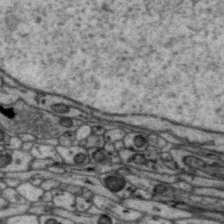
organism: Zebra finch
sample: Brain